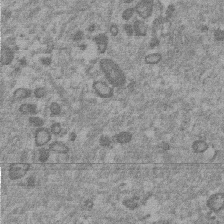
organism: Mouse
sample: Dividing mouse embryo 1 cell stage